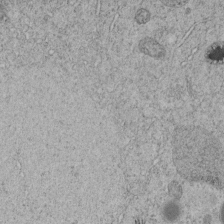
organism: C. elegans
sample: C. elegans embryo early stage